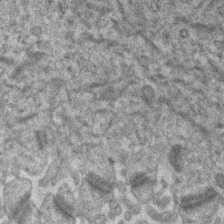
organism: Human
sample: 1205lu cells